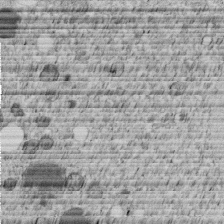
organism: C. elegans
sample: C. elegans embryo early stage